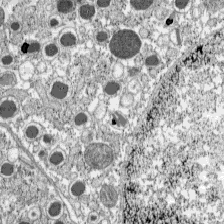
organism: C57BL Mouse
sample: Pancreatic islet